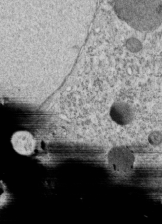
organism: C. elegans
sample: C. elegans embryo early stage